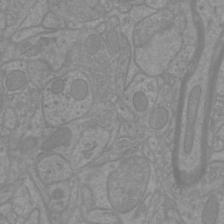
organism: Mouse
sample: Cortical neurons